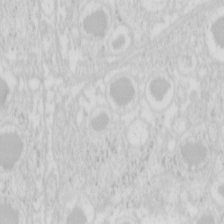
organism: Mouse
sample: Pancreas